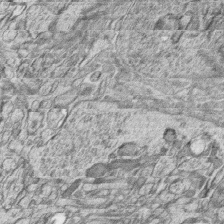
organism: Zebrafish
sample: synaptic ribbons in rod cells and cone cells